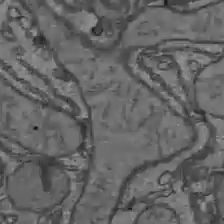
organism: C57BL Mouse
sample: Liver